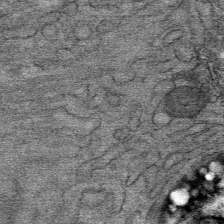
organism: Mouse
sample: Mouse Salivary gland